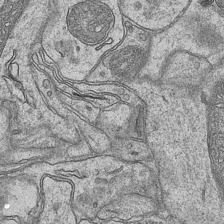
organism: Mouse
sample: CA1 Hippocampus